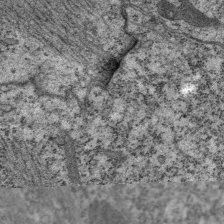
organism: C. elegans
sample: Pharynx